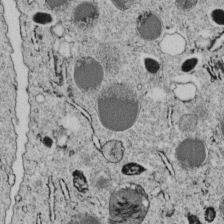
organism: C. elegans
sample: C. elegans embryo early stage